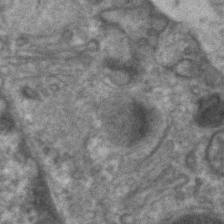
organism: Human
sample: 1205lu cells